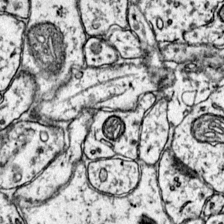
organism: Mouse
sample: Primary visual cortex